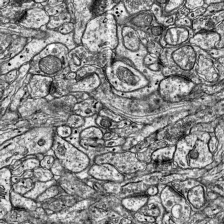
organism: Mouse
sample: Visual Cortex